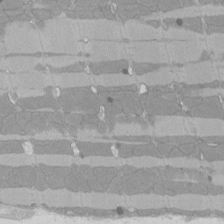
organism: Rat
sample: Left ventricle